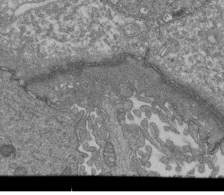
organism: Human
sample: Retinal organoid Rod and Cone cells